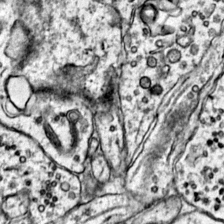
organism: Mouse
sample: Primary visual cortex